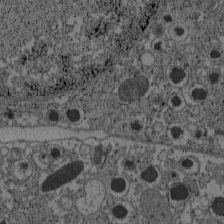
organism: C57BL Mouse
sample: Pancreatic islet